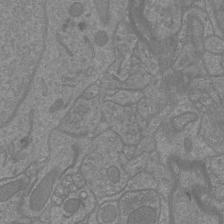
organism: Mouse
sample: Cortical neurons